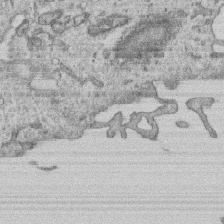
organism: Human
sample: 1205lu cells